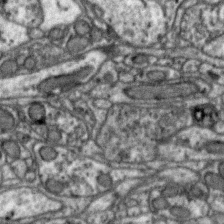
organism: Zebra finch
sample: Brain